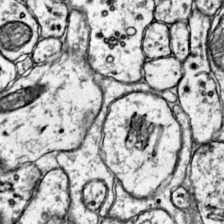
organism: Mouse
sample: Primary visual cortex